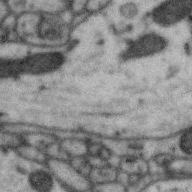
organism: Zebra finch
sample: Brain